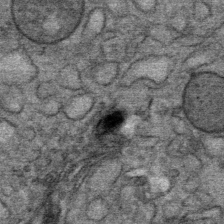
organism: Mouse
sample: Mouse Salivary gland